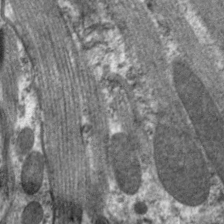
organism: C. elegans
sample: Pharynx